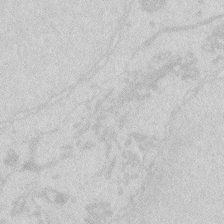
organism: Zebrafish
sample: Macrophage